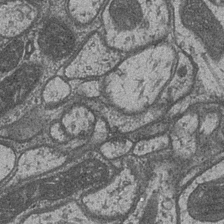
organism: Drosophila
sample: Optic medulla